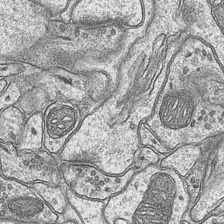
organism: Mouse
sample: CA1 Hippocampus